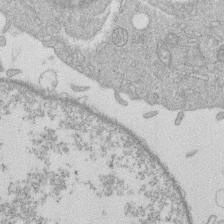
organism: Human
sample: Macrophage cells